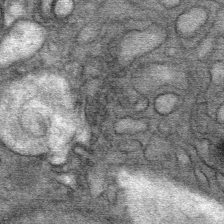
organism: Mouse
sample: Mouse Salivary gland